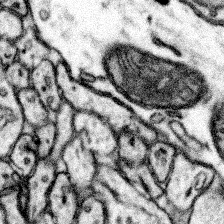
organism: Mouse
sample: Somatosensory cortex neuropil